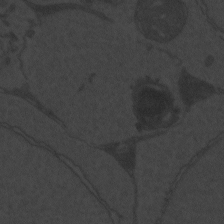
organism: Zebrafish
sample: Macrophage infected with Toxoplasma gondii